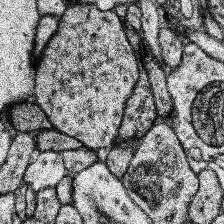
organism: Human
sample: Temporal Lobe